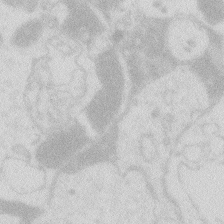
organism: Zebrafish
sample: Macrophage